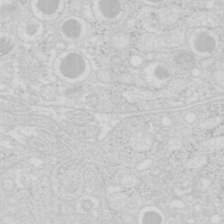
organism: Mouse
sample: Pancreas